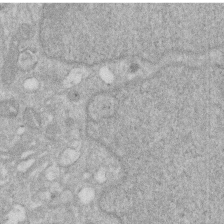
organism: Human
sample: HIV infected U937 cells